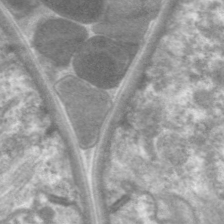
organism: C. elegans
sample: Pharynx